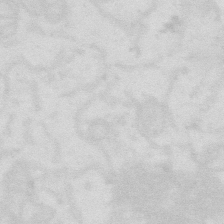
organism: Human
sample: HeLa cells